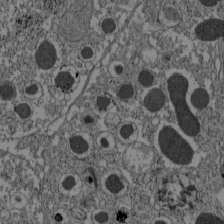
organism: C57BL Mouse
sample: Pancreatic islet